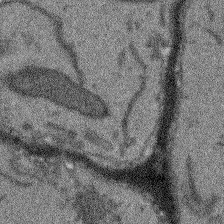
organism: Arabidopsis thaliana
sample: Root tip